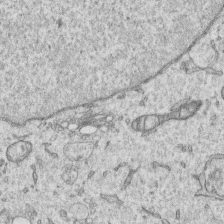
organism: Human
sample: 1205lu cells